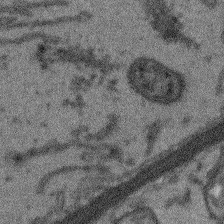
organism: Arabidopsis thaliana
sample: Root tip